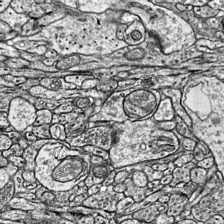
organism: Mouse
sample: Visual Cortex